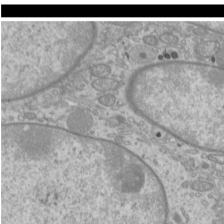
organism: Mouse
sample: Cilia; mouse epididymis